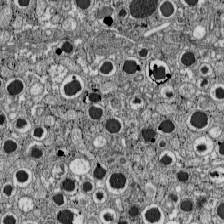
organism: C57BL Mouse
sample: Pancreatic islet